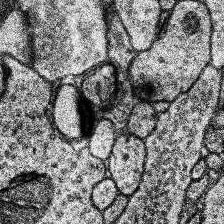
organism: Human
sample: Temporal Lobe